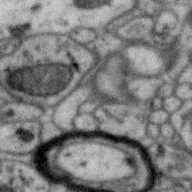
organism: Zebra finch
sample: Brain